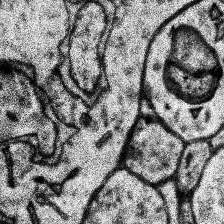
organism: Human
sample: Temporal Lobe